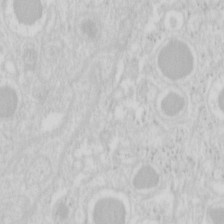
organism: Mouse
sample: Pancreas